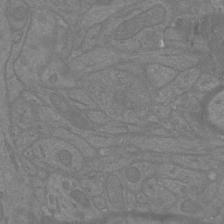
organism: Mouse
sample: Cortical neurons